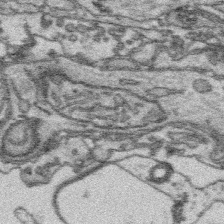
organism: Platynereis dumerilii